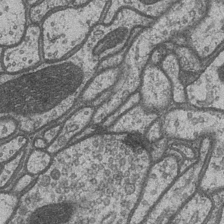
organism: Drosophila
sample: Optic medulla